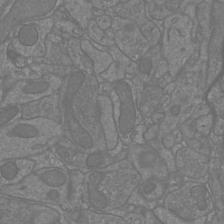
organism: Mouse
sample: Cortical neurons